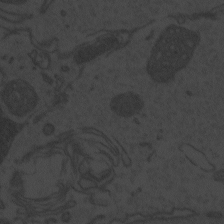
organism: Zebrafish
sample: Macrophage infected with Toxoplasma gondii